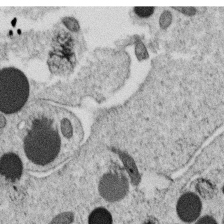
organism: C. elegans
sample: C. elegans oocyte; sperm cells